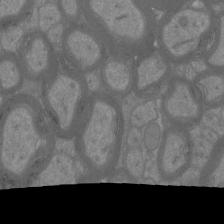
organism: Mouse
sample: Cortical neurons